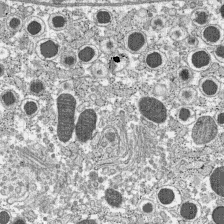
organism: C57BL Mouse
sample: Pancreatic islet